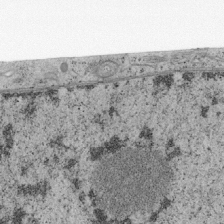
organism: Human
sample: HeLa cells